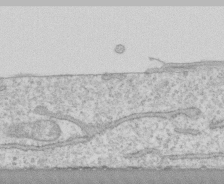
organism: Human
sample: CRL-1474